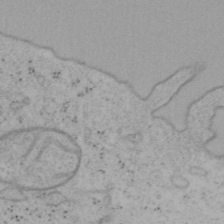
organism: Human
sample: HeLa cells